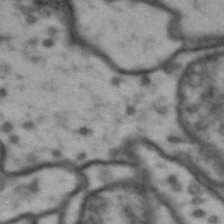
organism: Drosophila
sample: Brain